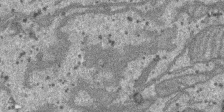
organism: Human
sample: Lung epithelial cells infected with SARS-CoV-2